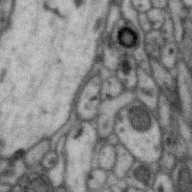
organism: Zebra finch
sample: Brain